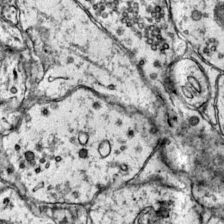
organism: Mouse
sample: Primary visual cortex